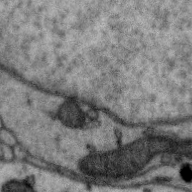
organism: Zebra finch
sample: Brain